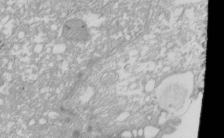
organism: Xenopus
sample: Cilia; centrioles in frog embryo cells